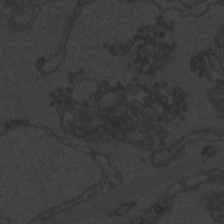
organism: Zebrafish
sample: Macrophage infected with Toxoplasma gondii